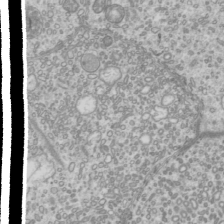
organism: Mouse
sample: Cilia; mouse epididymis